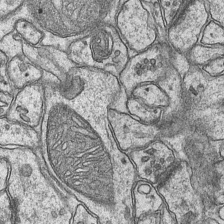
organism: Mouse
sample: CA1 Hippocampus